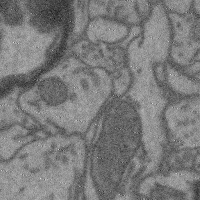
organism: Mouse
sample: Cerebral cortex